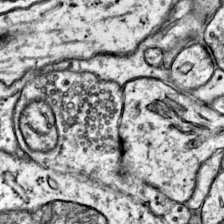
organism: Mouse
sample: Primary visual cortex